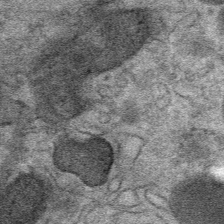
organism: Mouse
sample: Mouse Salivary gland